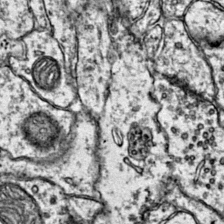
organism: Mouse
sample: Primary visual cortex